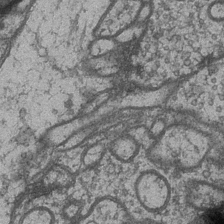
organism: Drosophila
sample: Optic medulla